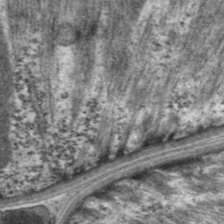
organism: C. elegans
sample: Pharynx